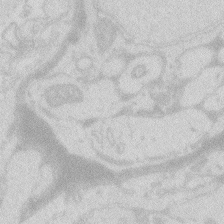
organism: Zebrafish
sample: Macrophage